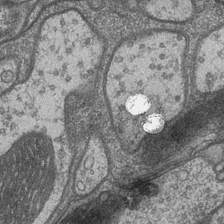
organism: Drosophila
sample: Optic medulla